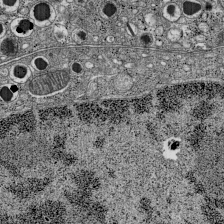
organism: C57BL Mouse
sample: Pancreatic islet